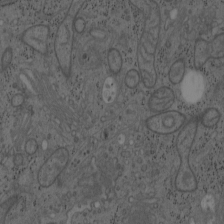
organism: Mouse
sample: OT-I killer T cells with ID8 ovarian cancer cells